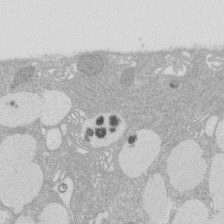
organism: Rat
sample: Salivary granule